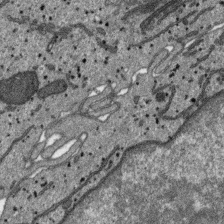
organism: Human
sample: Lung epithelial cells, uninfected (mock) control